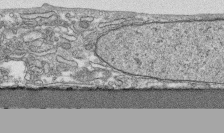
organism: Human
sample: CRL-1474